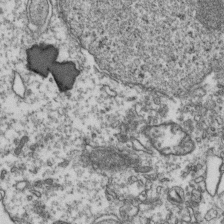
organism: Human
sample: Activated Jurkat CD4+ T cells